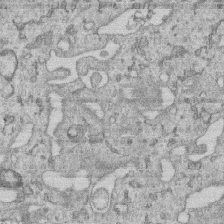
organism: Human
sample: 1205lu cells